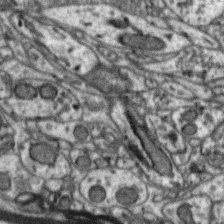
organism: Zebra finch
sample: Brain